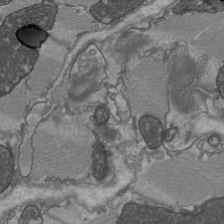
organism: C57BL Mouse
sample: Heart